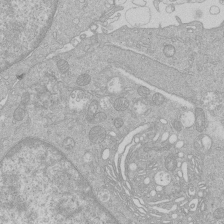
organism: Human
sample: Macrophage cells